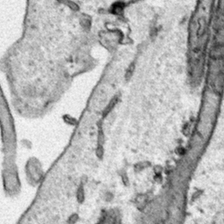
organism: Human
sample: Mitochondria in HCT116 cells